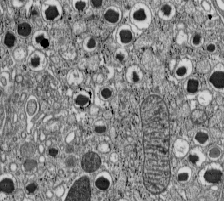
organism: C57BL Mouse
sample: Pancreatic islet